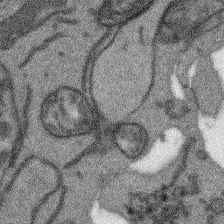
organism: Arabidopsis thaliana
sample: Root tip